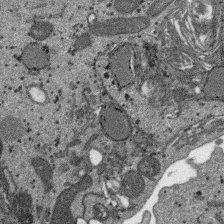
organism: Human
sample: Lung epithelial cells infected with SARS-CoV-2